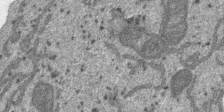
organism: Human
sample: Lung epithelial cells infected with SARS-CoV-2